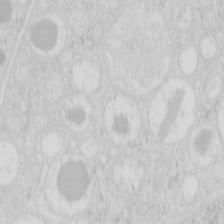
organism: Mouse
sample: Pancreas